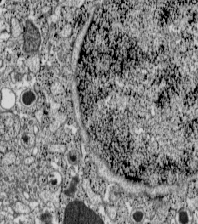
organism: C57BL Mouse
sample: Pancreatic islet